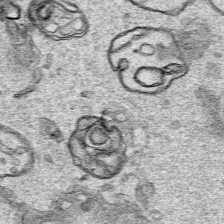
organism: Human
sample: Mitochondria in HCT116 cells